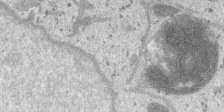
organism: Human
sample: Lung epithelial cells infected with SARS-CoV-2